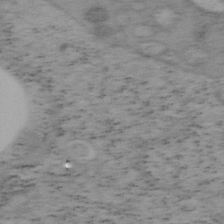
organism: Mouse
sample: OT-I killer T cells with ID8 ovarian cancer cells